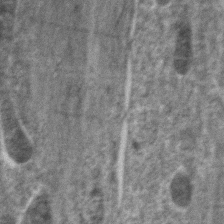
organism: Zebrafish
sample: Zebrafish embryo